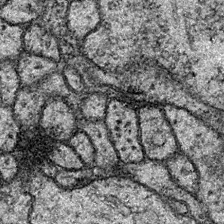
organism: Drosophila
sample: Ventral Nerve Cord